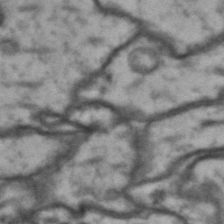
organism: Drosophila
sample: Brain